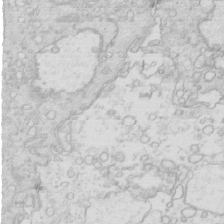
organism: Mouse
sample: Multiciliated cells